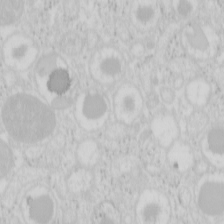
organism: Mouse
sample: Pancreas